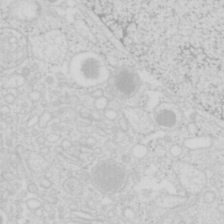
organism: Mouse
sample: Pancreas